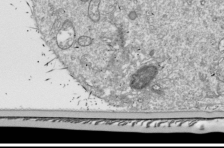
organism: Drosophila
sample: Cell division; meiosis; drosophila spermatocytes